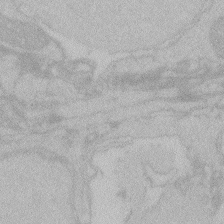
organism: Zebrafish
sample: Macrophage infected with Toxoplasma gondii